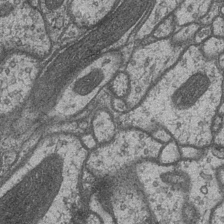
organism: Drosophila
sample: Optic medulla